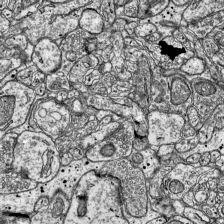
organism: Mouse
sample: Visual Cortex